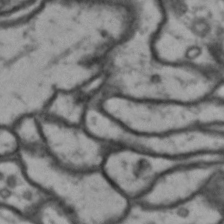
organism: Drosophila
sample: Brain